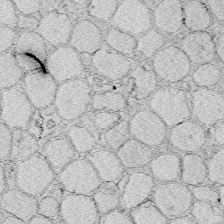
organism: Zebrafish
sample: Whole-Brain